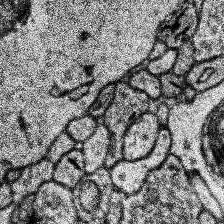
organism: Human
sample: Temporal Lobe